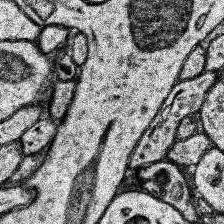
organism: Human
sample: Temporal Lobe